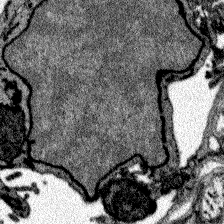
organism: Zebrafish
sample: Larval olfactory bulb